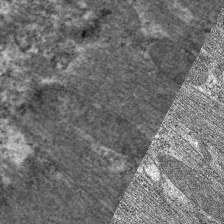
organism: C. elegans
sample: Pharynx